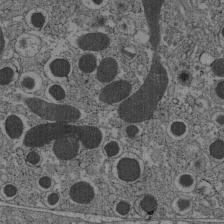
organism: C57BL Mouse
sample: Pancreatic islet